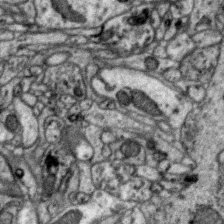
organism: Zebra finch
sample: Brain